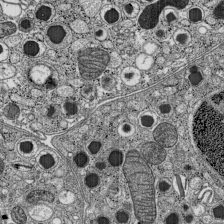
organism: C57BL Mouse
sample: Pancreatic islet